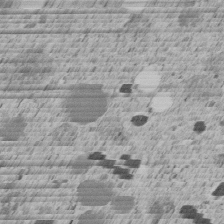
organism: C. elegans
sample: C. elegans embryo early stage